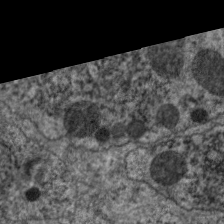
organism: C. elegans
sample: Pharynx